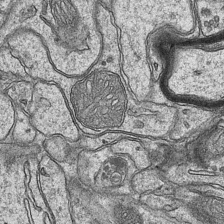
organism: Mouse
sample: CA1 Hippocampus